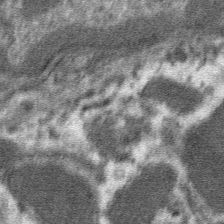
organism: Mouse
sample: Mouse hepatocytes